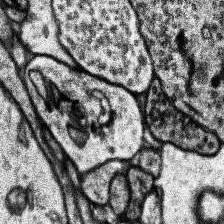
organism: Human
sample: Temporal Lobe